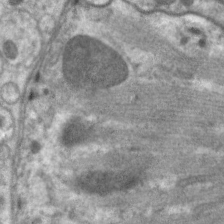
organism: C. elegans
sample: Pharynx